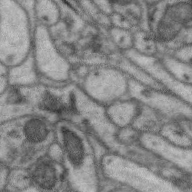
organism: Zebra finch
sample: Brain